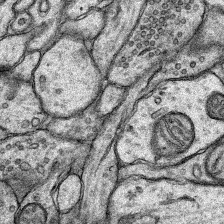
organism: Rat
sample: Hippocampus